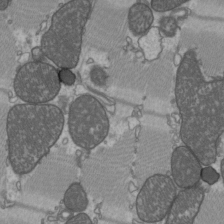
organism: C57BL Mouse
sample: Heart